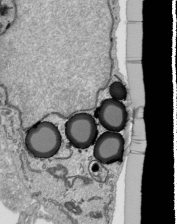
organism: Human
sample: Mitochondria in HCT116 cells